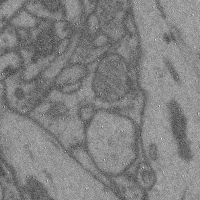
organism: Mouse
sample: Cerebral cortex